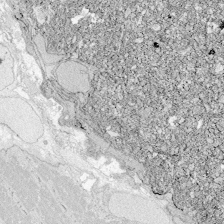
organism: Zebrafish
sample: Whole-Brain